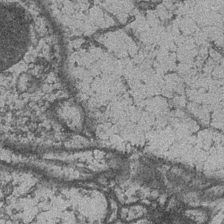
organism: Drosophila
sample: Optic medulla